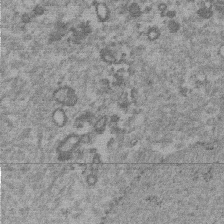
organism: Mouse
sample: Dividing mouse embryo 1 cell stage